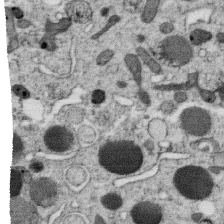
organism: C. elegans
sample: C. elegans oocyte; sperm cells